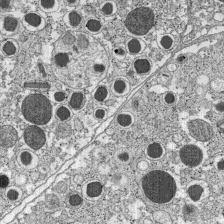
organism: C57BL Mouse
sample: Pancreatic islet